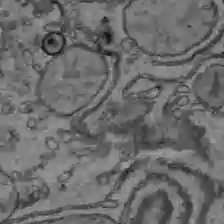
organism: C57BL Mouse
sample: Liver